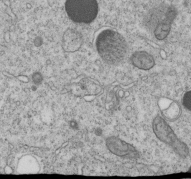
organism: C. elegans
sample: C. elegans embryo early stage